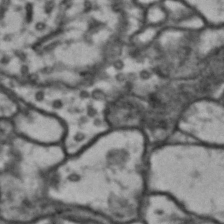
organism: Drosophila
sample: Brain